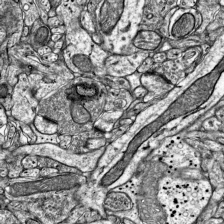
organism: Mouse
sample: Visual Cortex